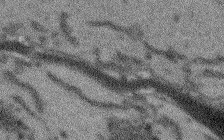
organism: Arabidopsis thaliana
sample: Root tip